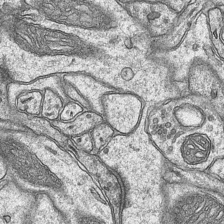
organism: Mouse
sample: CA1 Hippocampus